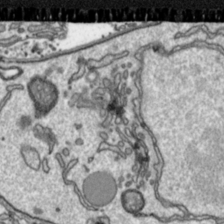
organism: Toxoplasma gondii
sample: Parasites in a vacuole inside a host cell